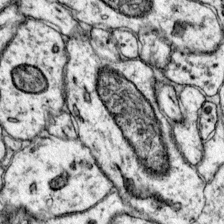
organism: Mouse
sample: Primary visual cortex